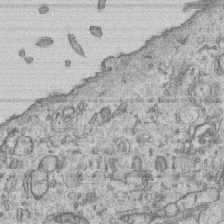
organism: Human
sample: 1205lu cells